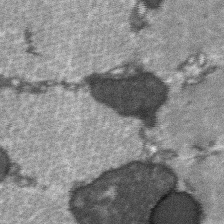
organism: C57BL Mouse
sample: Soleus